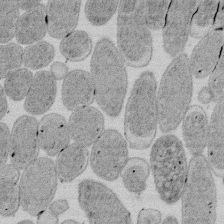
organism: E. coli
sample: Bacterial nucleoid